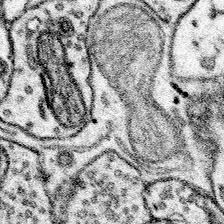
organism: Mouse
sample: Somatosensory cortex neuropil